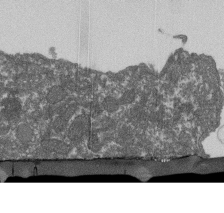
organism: Dictyostelium discoideum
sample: Dictyostelium multivesicular bodies